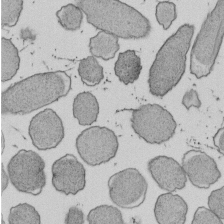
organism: E. coli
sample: Bacterial nucleoid